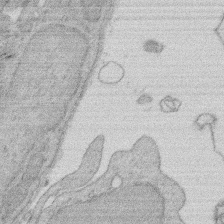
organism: Rat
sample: Salivary granule